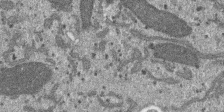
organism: Human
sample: Lung epithelial cells infected with SARS-CoV-2